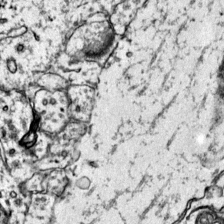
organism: Mouse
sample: Primary visual cortex